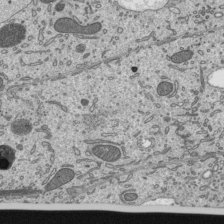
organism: Mouse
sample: Mouse epididymis efferent ductule cilia